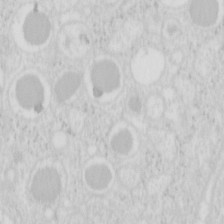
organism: Mouse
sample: Pancreas